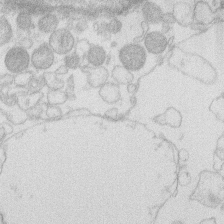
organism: Human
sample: Macrophage cells